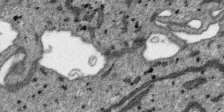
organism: Human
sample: Lung epithelial cells, uninfected (mock) control